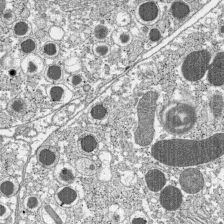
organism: C57BL Mouse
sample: Pancreatic islet